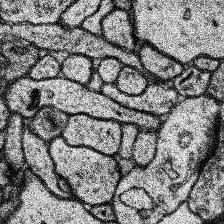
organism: Human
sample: Temporal Lobe